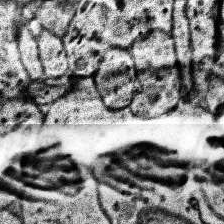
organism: Human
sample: Temporal Lobe